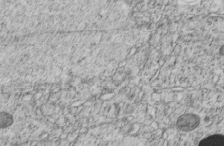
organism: C. elegans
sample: C. elegans embryo early stage